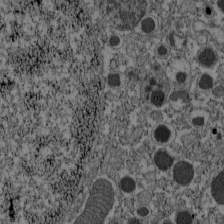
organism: C57BL Mouse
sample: Pancreatic islet